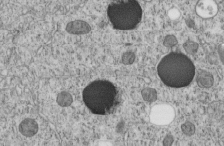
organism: C. elegans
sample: C. elegans embryo early stage